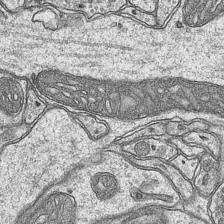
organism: Mouse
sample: CA1 Hippocampus